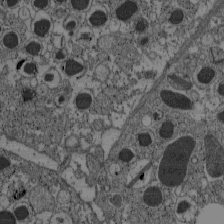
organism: C57BL Mouse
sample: Pancreatic islet